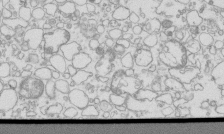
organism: Mouse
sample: Macrophages